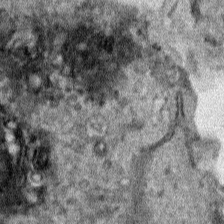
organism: Human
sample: Mitochondria in HCT116 cells